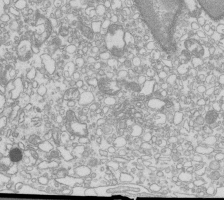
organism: Mouse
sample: Macrophages